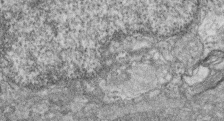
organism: Zebrafish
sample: Cilia; retinal pigment epithelium